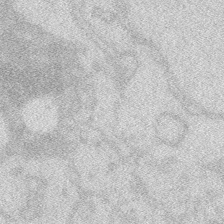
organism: Zebrafish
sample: Macrophage